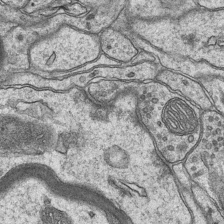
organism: Mouse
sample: CA1 Hippocampus